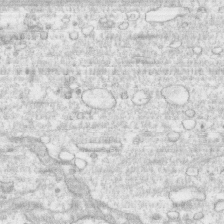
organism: Human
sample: CRL-1474